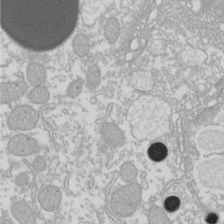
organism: Xenopus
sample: Cilia; centrioles in frog embryo cells